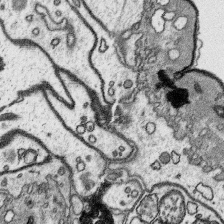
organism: Platynereis dumerilii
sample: Parapodia